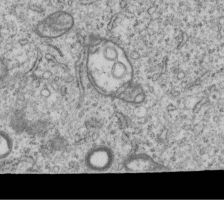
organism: Human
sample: MDA-MB-231 cells